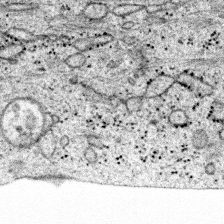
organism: Human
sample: HeLa cells